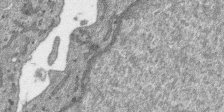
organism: Human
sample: Lung epithelial cells infected with SARS-CoV-2